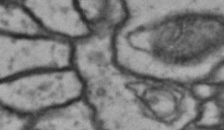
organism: Drosophila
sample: Brain